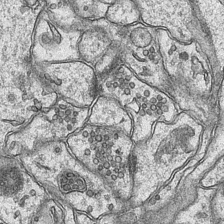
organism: Mouse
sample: CA1 Hippocampus